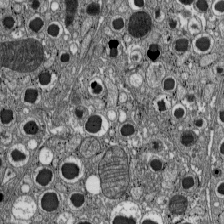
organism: C57BL Mouse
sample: Pancreatic islet